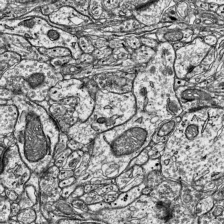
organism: Mouse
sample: Visual Cortex